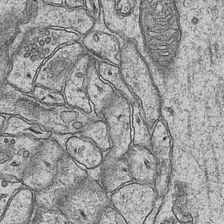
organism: Mouse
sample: CA1 Hippocampus